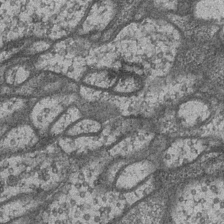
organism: Drosophila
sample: Optic medulla